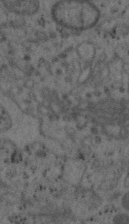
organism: Human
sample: HeLa cells